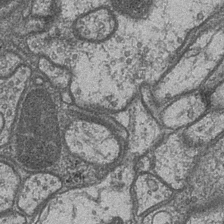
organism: Drosophila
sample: Optic medulla